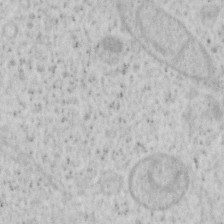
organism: Human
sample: HeLa cells